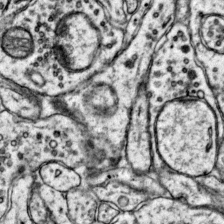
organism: Mouse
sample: Primary visual cortex